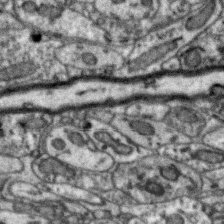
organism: Zebra finch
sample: Brain